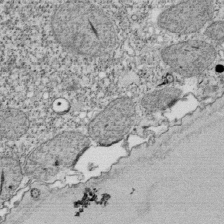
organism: Tetrahymena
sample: Cilia in tetrahymena